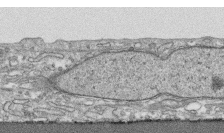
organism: Human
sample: CRL-1474